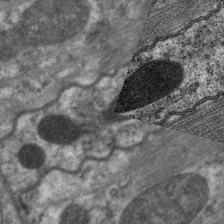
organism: C. elegans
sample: Pharynx